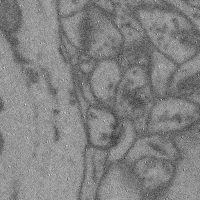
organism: Mouse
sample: Cerebral cortex